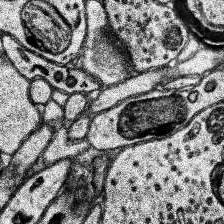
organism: Human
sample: Temporal Lobe